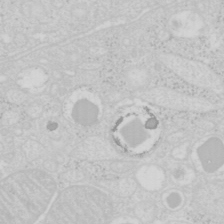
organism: Mouse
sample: Pancreas